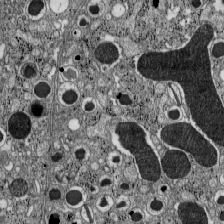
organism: C57BL Mouse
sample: Pancreatic islet